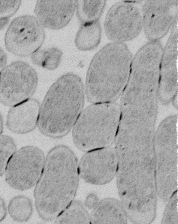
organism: E. coli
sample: Bacterial nucleoid